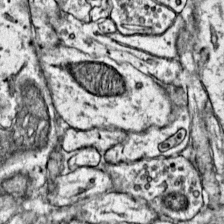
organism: Mouse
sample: Primary visual cortex